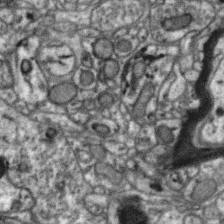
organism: Zebra finch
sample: Brain